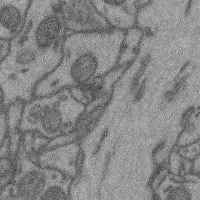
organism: Mouse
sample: Cerebral cortex